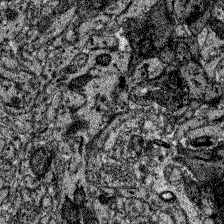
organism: Zebrafish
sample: Larval olfactory bulb